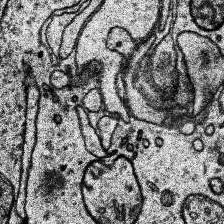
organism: Human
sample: Temporal Lobe